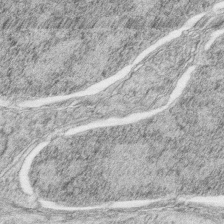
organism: Zebrafish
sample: synaptic ribbons in rod cells and cone cells